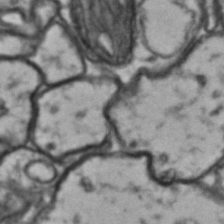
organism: Drosophila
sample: Brain